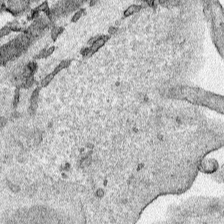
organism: Human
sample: Mitochondria in HCT116 cells